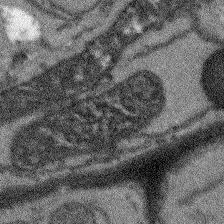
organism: Arabidopsis thaliana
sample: Root tip